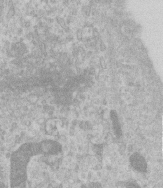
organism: Human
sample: Centriole in RPE cells